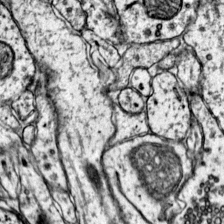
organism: Mouse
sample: Primary visual cortex